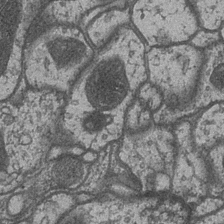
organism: Drosophila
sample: Optic medulla